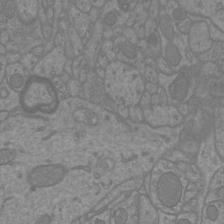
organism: Mouse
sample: Cortical neurons